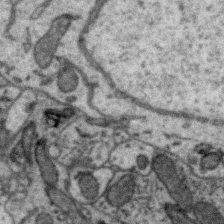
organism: Zebra finch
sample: Brain